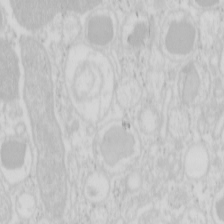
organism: Mouse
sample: Pancreas